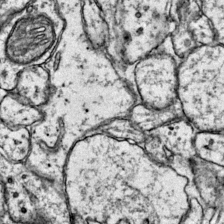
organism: Mouse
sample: Primary visual cortex